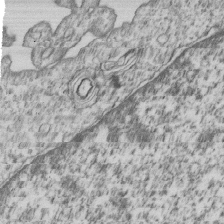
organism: Human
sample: MDA-MB-231 cells